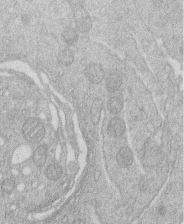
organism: Human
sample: Macrophage cells